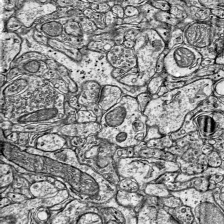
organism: Mouse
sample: Visual Cortex